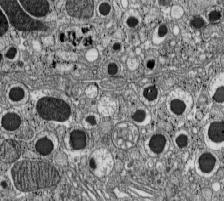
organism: C57BL Mouse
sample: Pancreatic islet